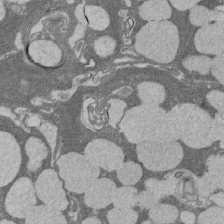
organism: Rat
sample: Salivary granule